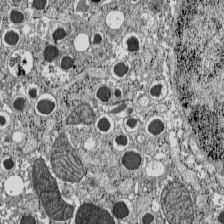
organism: C57BL Mouse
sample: Pancreatic islet